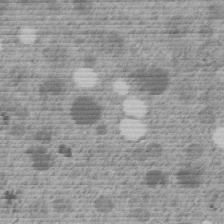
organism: C. elegans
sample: C. elegans embryo early stage